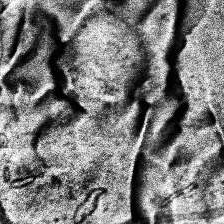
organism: Human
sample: Temporal Lobe